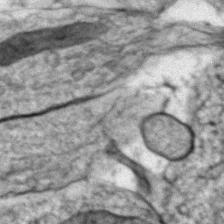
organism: Zebrafish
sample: Zebrafish embryo